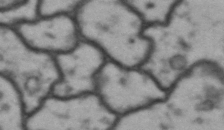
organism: Drosophila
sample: Brain